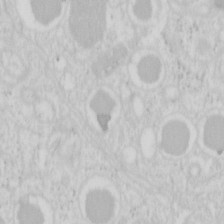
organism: Mouse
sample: Pancreas